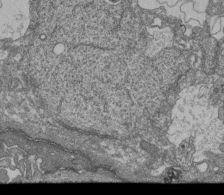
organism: Human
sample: Retinal organoid Rod and Cone cells